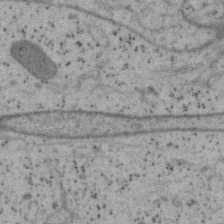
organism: Human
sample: HeLa cells